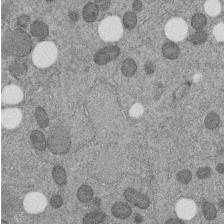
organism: C. elegans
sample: C. elegans embryo early stage